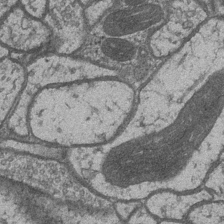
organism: Drosophila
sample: Optic medulla